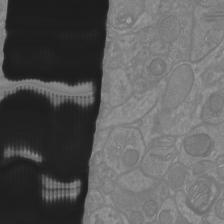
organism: Mouse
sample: Cortical neurons